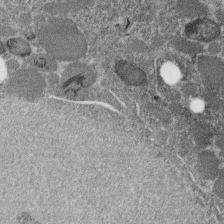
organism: C. elegans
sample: C. elegans embryo early stage